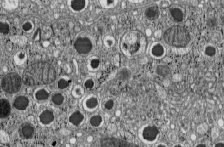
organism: C57BL Mouse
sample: Pancreatic islet